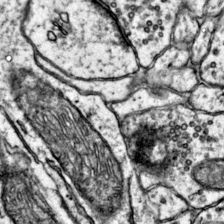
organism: Mouse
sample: Primary visual cortex